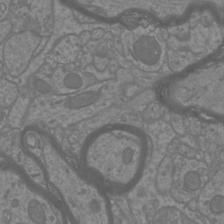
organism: Mouse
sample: Cortical neurons